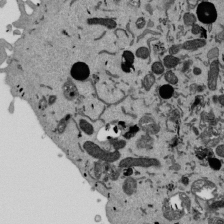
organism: Mouse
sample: ED-1 cell nuclei; centrioles